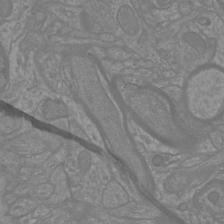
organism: Mouse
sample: Cortical neurons